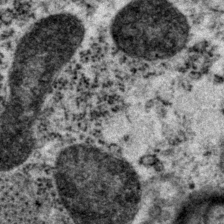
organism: P. pacificus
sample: Pharynx